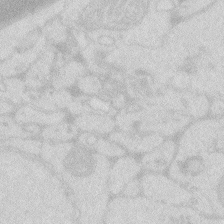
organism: Zebrafish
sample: Macrophage